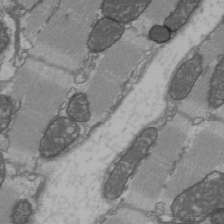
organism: C57BL Mouse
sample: Heart